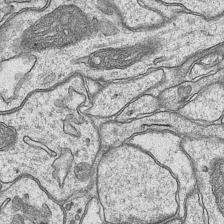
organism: Mouse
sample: CA1 Hippocampus